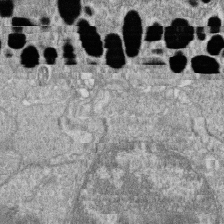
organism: Zebrafish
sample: Cilia; retinal pigment epithelium